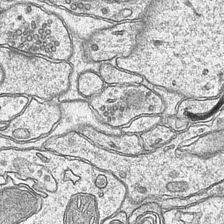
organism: Mouse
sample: CA1 Hippocampus